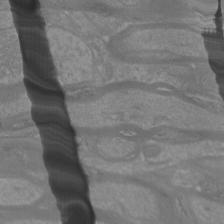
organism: Mouse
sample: Cortical neurons